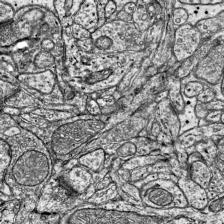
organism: Mouse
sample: Visual Cortex